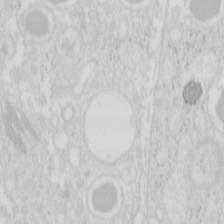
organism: Mouse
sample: Pancreas